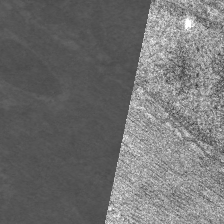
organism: C. elegans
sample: Pharynx